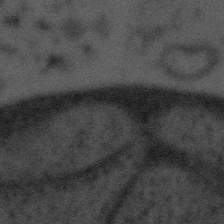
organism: Tuwongella immobilis